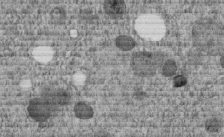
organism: C. elegans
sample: C. elegans embryo early stage